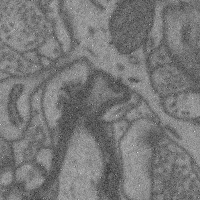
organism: Mouse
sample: Cerebral cortex